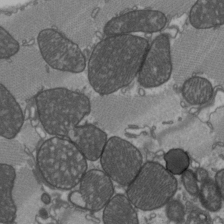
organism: C57BL Mouse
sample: Heart